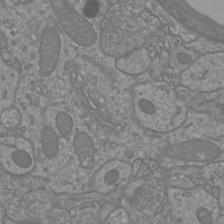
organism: Mouse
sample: Cortical neurons